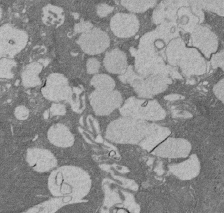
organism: Rat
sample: Salivary granule